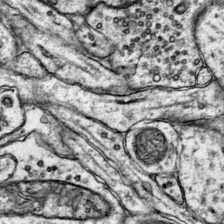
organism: Mouse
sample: Primary visual cortex